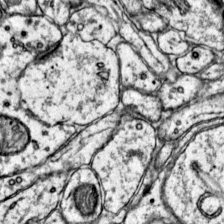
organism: Mouse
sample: Primary visual cortex